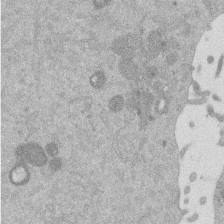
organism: Mouse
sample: Dividing mouse embryo 1 cell stage